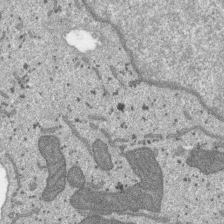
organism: Human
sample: Lung epithelial cells infected with SARS-CoV-2